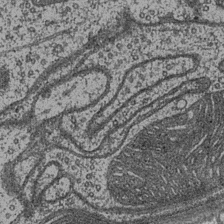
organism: Drosophila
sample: Optic medulla